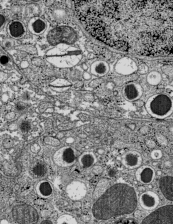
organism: C57BL Mouse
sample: Pancreatic islet